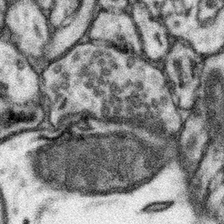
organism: Mouse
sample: Somatosensory cortex neuropil